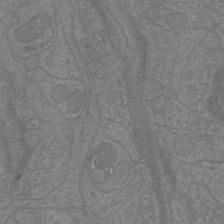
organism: Mouse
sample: Cortical neurons